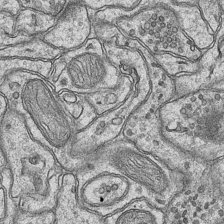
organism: Mouse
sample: CA1 Hippocampus